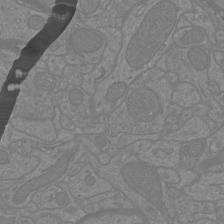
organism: Mouse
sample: Cortical neurons